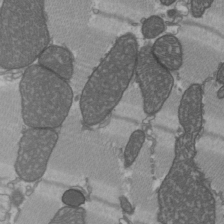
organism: C57BL Mouse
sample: Heart